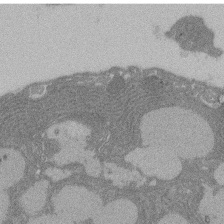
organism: Rat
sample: Salivary granule